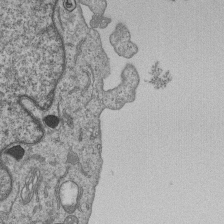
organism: Human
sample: MDA-MB-231 cells